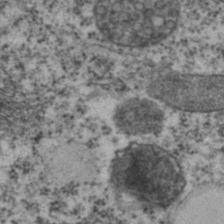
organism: C. elegans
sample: C. elegans embryo